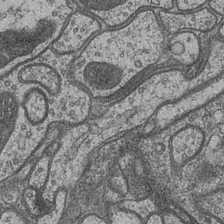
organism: Drosophila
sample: Optic medulla